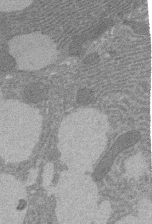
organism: Rat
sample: Salivary granule